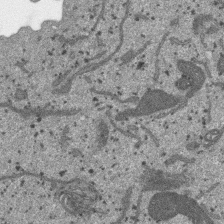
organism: Human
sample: Lung epithelial cells infected with SARS-CoV-2